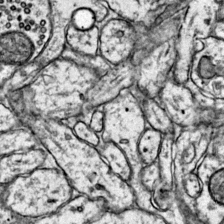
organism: Mouse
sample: Primary visual cortex